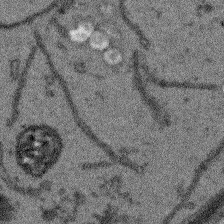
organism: Arabidopsis thaliana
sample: Root tip